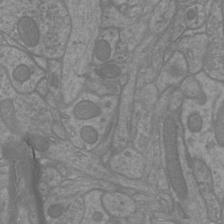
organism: Mouse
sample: Cortical neurons